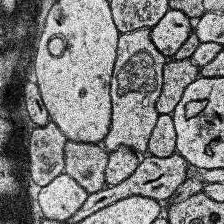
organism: Human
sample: Temporal Lobe